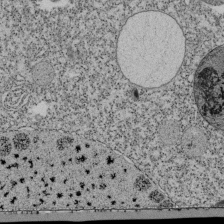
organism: Tetrahymena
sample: Cilia in tetrahymena